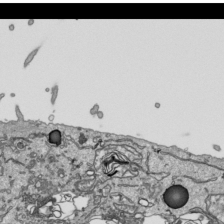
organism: Human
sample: Mitochondria in HCT116 cells